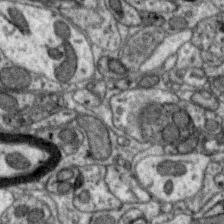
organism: Zebra finch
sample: Brain